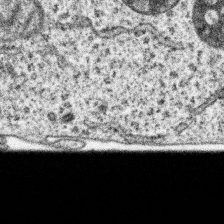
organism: Human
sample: HeLa cells